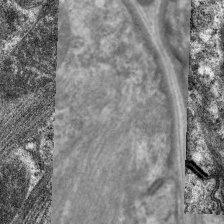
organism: C. elegans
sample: Pharynx